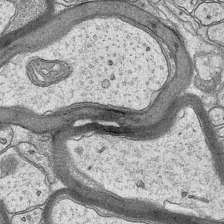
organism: Mouse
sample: CA1 Hippocampus